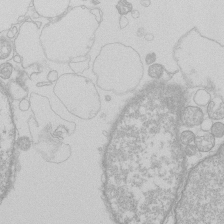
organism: Human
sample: Macrophage cells